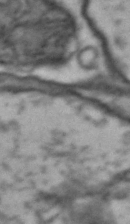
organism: Drosophila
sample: Brain